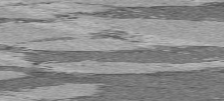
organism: C57BL Mouse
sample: Heart